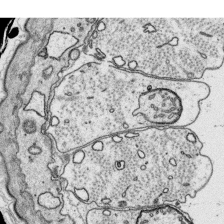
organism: Platynereis dumerilii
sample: Parapodia